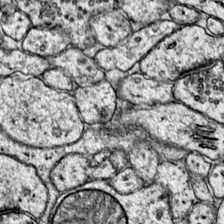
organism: Mouse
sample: Primary visual cortex